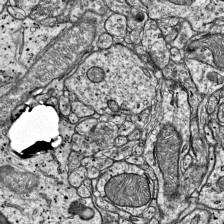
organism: Mouse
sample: Visual Cortex